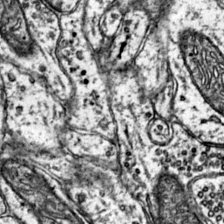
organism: Mouse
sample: Primary visual cortex